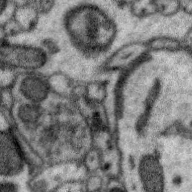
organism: Zebra finch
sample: Brain